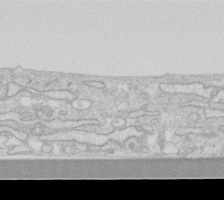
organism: Human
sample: Fibroblast cells